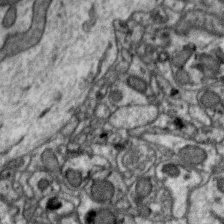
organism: Zebra finch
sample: Brain